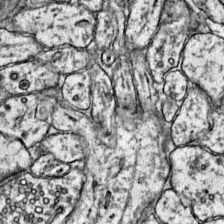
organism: Mouse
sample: Primary visual cortex